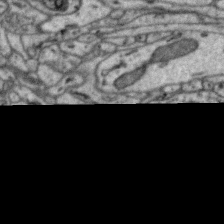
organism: Zebra finch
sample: Brain